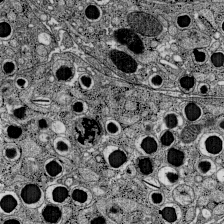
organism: C57BL Mouse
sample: Pancreatic islet